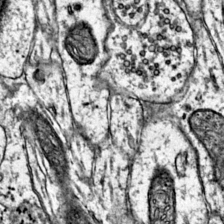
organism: Mouse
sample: Primary visual cortex